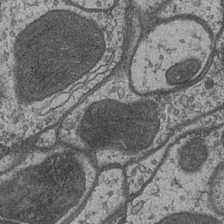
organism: Drosophila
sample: Optic medulla